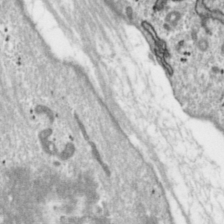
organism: Toxoplasma gondii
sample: Parasites in a vacuole inside a host cell